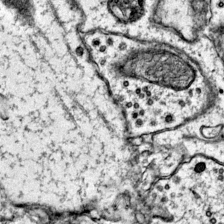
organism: Mouse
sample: Primary visual cortex